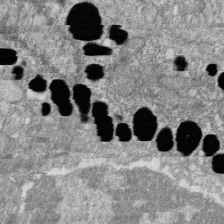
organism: Zebrafish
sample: Cilia; retinal pigment epithelium